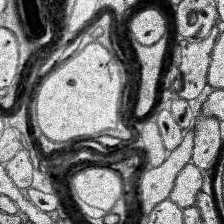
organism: Human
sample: Temporal Lobe